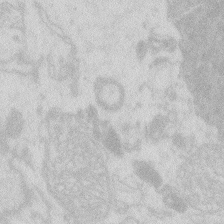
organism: Zebrafish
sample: Macrophage